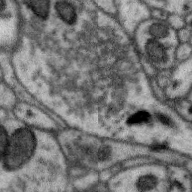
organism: Zebra finch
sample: Brain